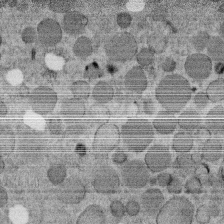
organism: C. elegans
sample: C. elegans embryo early stage